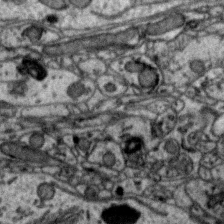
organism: Zebra finch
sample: Brain